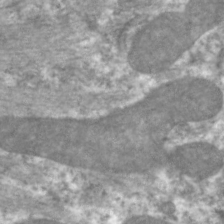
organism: C. elegans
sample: Pharynx